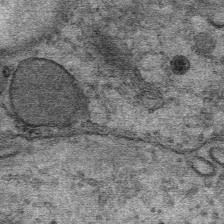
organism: Mouse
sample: Mouse Salivary gland